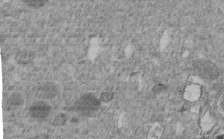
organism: C. elegans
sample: C. elegans embryo early stage